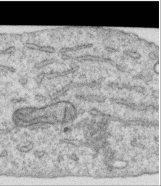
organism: Human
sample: Centriole in RPE cells